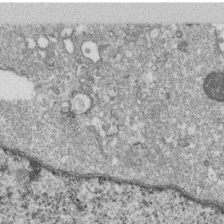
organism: African green monkey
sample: Vero E6 cells infected with SARS-CoV-2